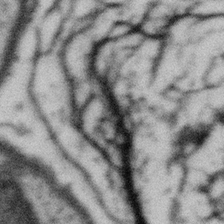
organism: Gemmata obscuriglobus